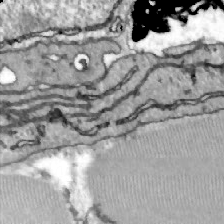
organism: Zebrafish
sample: Actinotrichia fibers